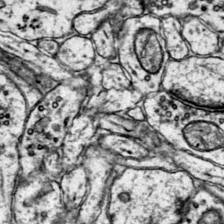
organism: Mouse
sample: Primary visual cortex